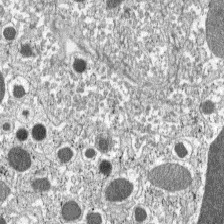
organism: C57BL Mouse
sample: Pancreatic islet